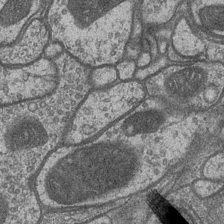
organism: Drosophila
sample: Optic medulla